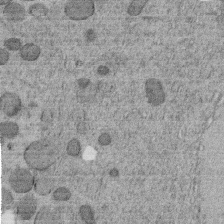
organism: C. elegans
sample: C. elegans embryo early stage